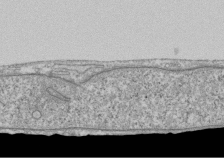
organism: Human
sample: Fibroblast cells